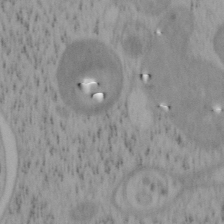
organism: Mouse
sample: OT-I killer T cells with ID8 ovarian cancer cells